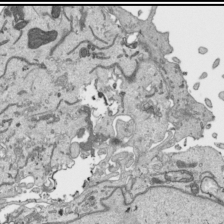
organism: Human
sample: Mitochondria in HCT116 cells